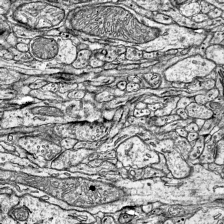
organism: Mouse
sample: Visual Cortex